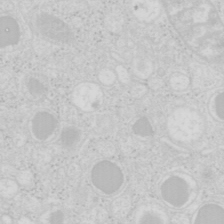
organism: Mouse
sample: Pancreas